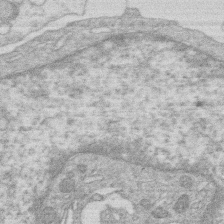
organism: Human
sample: Macrophage cells